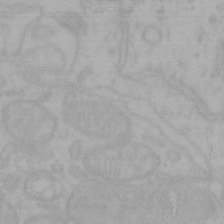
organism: Mouse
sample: Choroid plexus